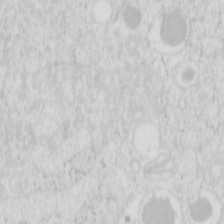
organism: Mouse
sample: Pancreas